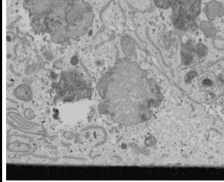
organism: Human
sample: Mitochondria in U2OS cells